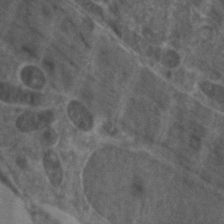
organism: Zebrafish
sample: Zebrafish embryo